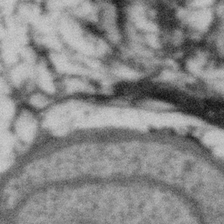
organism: Gemmata obscuriglobus